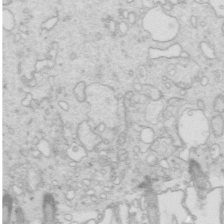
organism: Mouse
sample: Multiciliated cells